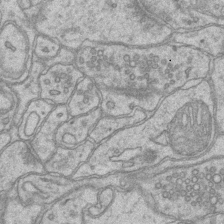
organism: Mouse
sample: CA1 Hippocampus